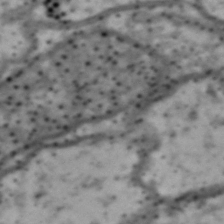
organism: Drosophila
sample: Brain